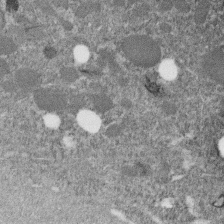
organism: C. elegans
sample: C. elegans embryo early stage